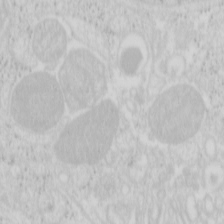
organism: Mouse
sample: Pancreas